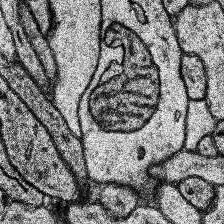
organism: Human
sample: Temporal Lobe